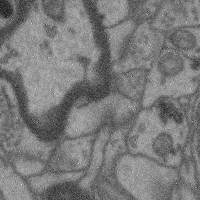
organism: Mouse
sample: Cerebral cortex